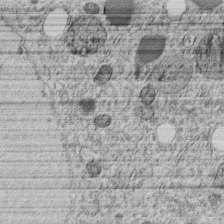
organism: C. elegans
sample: C. elegans embryo early stage